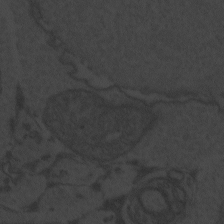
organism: Zebrafish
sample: Macrophage infected with Toxoplasma gondii